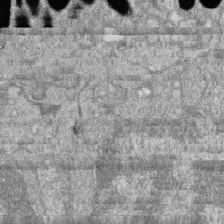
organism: Zebrafish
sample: Cilia; retinal pigment epithelium